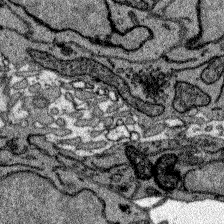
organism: Zebrafish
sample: Larval olfactory bulb